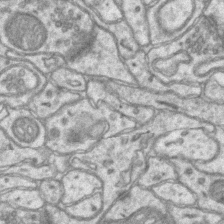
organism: Mouse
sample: CA1 Hippocampus